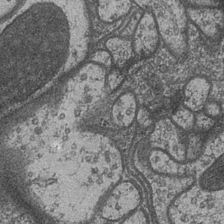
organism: Drosophila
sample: Optic medulla